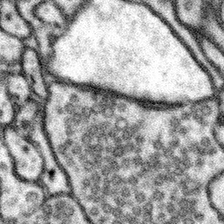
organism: Mouse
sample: Somatosensory cortex neuropil